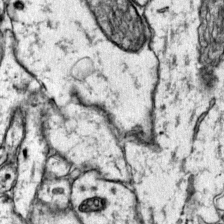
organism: Mouse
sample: Primary visual cortex